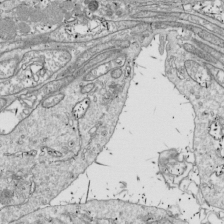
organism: Drosophila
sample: Cell division; meiosis; drosophila spermatocytes